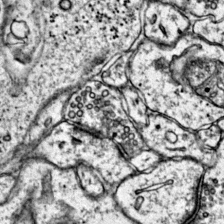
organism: Mouse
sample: Primary visual cortex